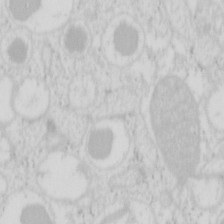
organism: Mouse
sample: Pancreas